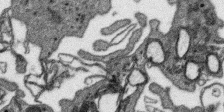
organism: Human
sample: Lung epithelial cells infected with SARS-CoV-2